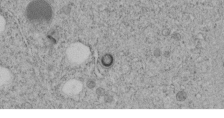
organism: C. elegans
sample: C. elegans embryo early stage